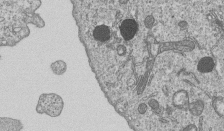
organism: Human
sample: MDA-MB-231 cells